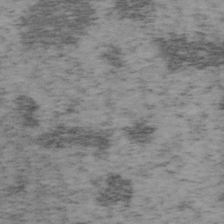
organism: Mouse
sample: OT-I killer T cells with ID8 ovarian cancer cells